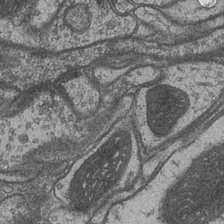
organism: Drosophila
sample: Optic medulla